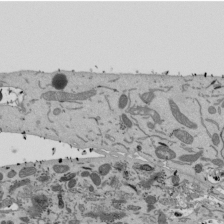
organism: Mouse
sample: ED-1 cell nuclei; centrioles